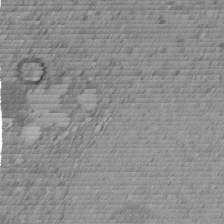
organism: C. elegans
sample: C. elegans embryo early stage